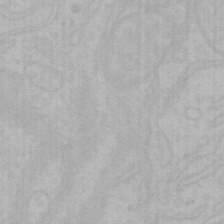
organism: Mouse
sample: Choroid plexus